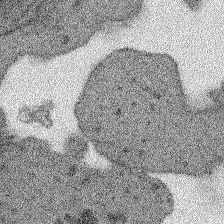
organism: Human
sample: HeLa cells